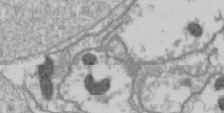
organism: Drosophila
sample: Cell division; meiosis; drosophila spermatocytes